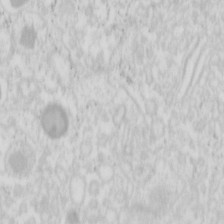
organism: Mouse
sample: Pancreas